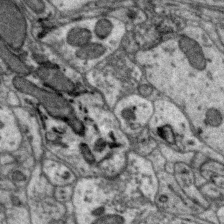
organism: Zebra finch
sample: Brain